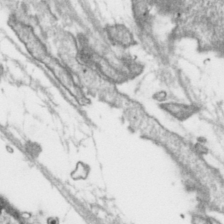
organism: Toxoplasma gondii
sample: Parasites in a vacuole inside a host cell